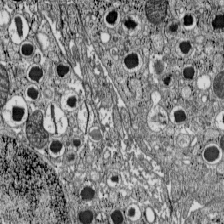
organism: C57BL Mouse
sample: Pancreatic islet